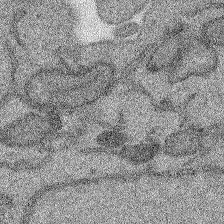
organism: Human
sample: HeLa cells